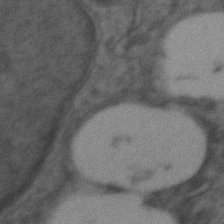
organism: Zebrafish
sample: Zebrafish embryo